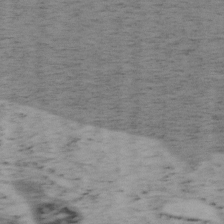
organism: Mouse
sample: OT-I killer T cells with ID8 ovarian cancer cells